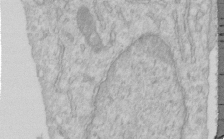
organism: Human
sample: Centriole in RPE cells